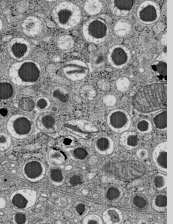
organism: C57BL Mouse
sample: Pancreatic islet